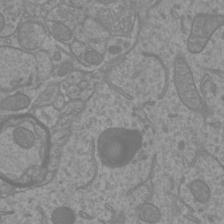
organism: Mouse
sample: Cortical neurons